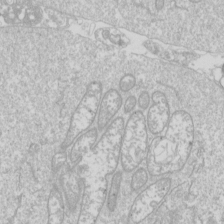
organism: Drosophila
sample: Cell division; meiosis; drosophila spermatocytes